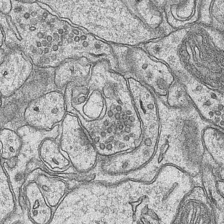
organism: Mouse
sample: CA1 Hippocampus